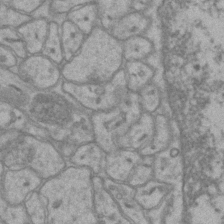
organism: Mouse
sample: CA1 Hippocampus